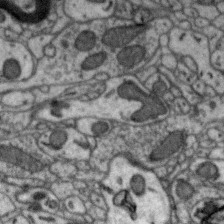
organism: Zebra finch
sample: Brain